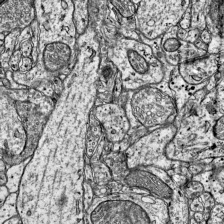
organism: Mouse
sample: Visual Cortex